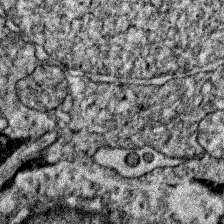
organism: Zebrafish